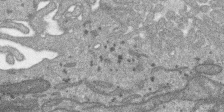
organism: Human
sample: Lung epithelial cells infected with SARS-CoV-2